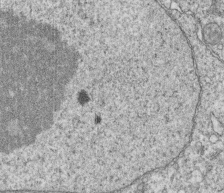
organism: Human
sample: HeLa cell HIV synapse